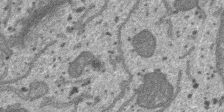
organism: Human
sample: Lung epithelial cells infected with SARS-CoV-2